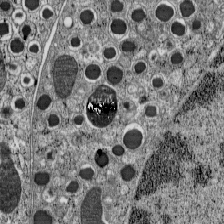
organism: C57BL Mouse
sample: Pancreatic islet